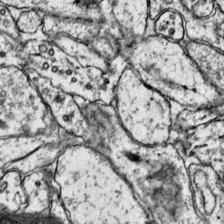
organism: Mouse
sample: Primary visual cortex